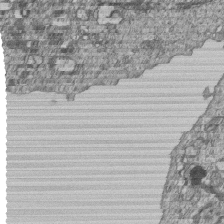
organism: Human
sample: MDA-MB-231 cells